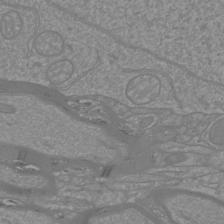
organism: Mouse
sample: Cortical neurons